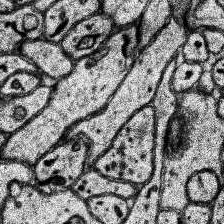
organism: Human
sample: Temporal Lobe